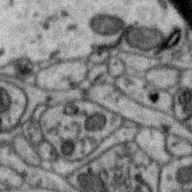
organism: Zebra finch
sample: Brain